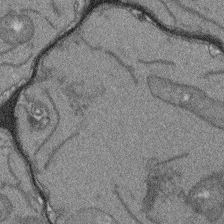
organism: Arabidopsis thaliana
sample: Root tip